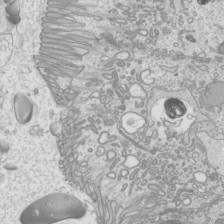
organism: Mouse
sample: Cilia; mouse epididymis